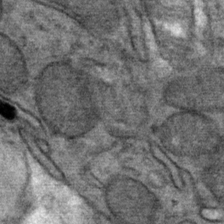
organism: Mouse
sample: Mouse Salivary gland